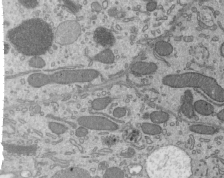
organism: Mouse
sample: Mouse epididymis efferent ductule cilia